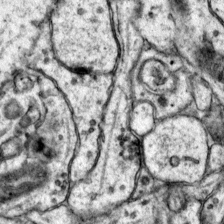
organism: Mouse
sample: Primary visual cortex